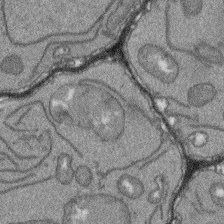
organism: Arabidopsis thaliana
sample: Root tip